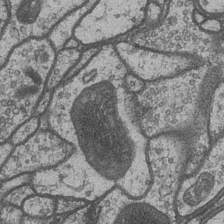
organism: Drosophila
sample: Optic medulla